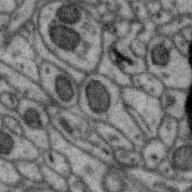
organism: Zebra finch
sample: Brain